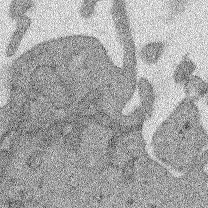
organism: Human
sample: HeLa cells